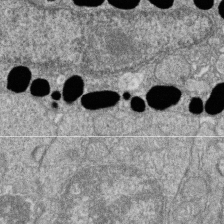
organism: Zebrafish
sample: Cilia; retinal pigment epithelium